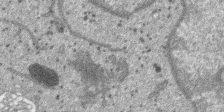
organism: Human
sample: Lung epithelial cells infected with SARS-CoV-2